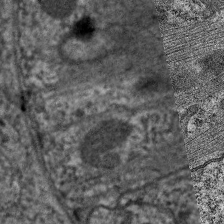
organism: C. elegans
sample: Pharynx